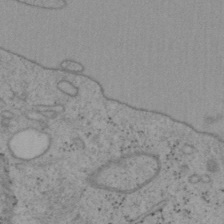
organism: Human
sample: HeLa cells